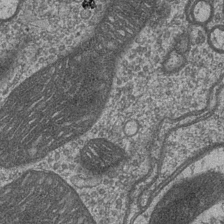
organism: Drosophila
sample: Optic medulla